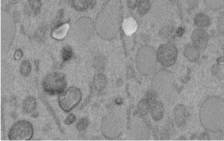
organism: C. elegans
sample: C. elegans embryo early stage